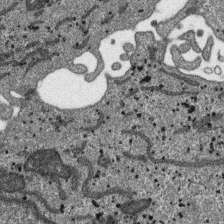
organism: Human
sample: Lung epithelial cells infected with SARS-CoV-2